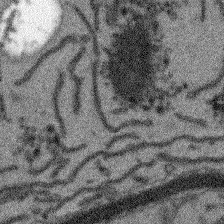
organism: Arabidopsis thaliana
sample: Root tip